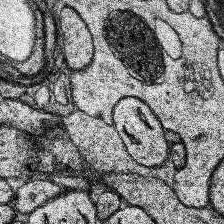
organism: Human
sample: Temporal Lobe